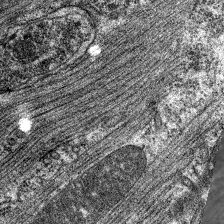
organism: C. elegans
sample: Pharynx